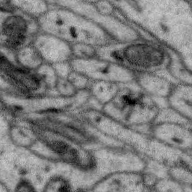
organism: Zebra finch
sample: Brain